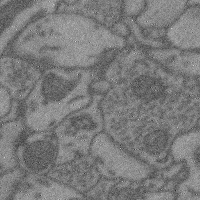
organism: Mouse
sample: Cerebral cortex